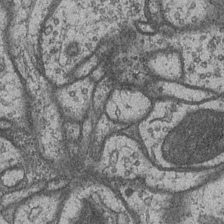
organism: Drosophila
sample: Optic medulla